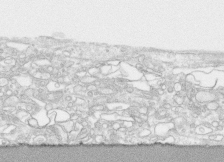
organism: Human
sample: CRL-1474